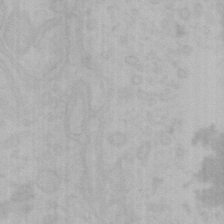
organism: Mouse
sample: Choroid plexus